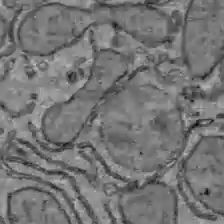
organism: C57BL Mouse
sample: Liver